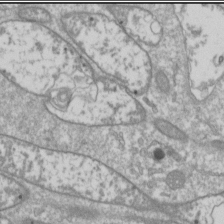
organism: Drosophila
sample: Cell division; meiosis; drosophila spermatocytes